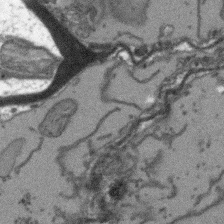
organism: Arabidopsis thaliana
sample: Root tip